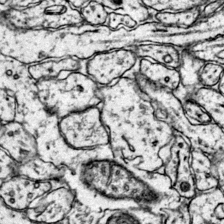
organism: Mouse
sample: Primary visual cortex